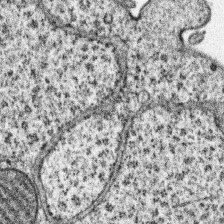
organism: Human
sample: HeLa cells